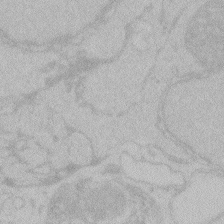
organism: Zebrafish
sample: Macrophage infected with Toxoplasma gondii